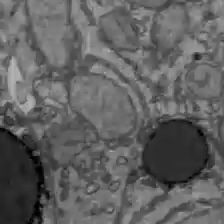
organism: C57BL Mouse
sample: Liver